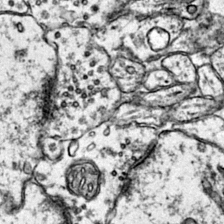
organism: Mouse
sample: Primary visual cortex